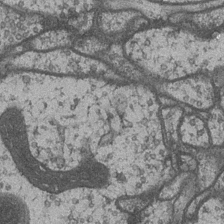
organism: Drosophila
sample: Optic medulla